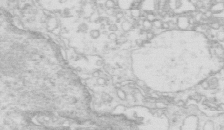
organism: Mouse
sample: Multiciliated cells